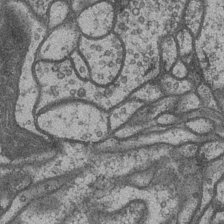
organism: Drosophila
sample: Optic medulla